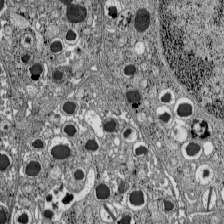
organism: C57BL Mouse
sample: Pancreatic islet